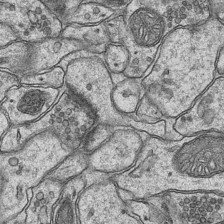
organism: Mouse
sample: CA1 Hippocampus